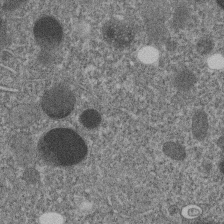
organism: C. elegans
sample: C. elegans embryo early stage